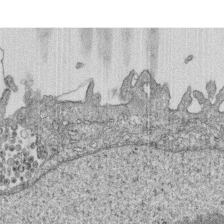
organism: Human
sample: HeLa cell HIV synapse